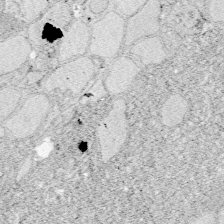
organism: Zebrafish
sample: Whole-Brain